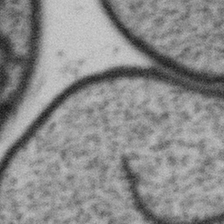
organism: Gemmata obscuriglobus